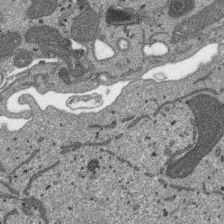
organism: Human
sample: Lung epithelial cells infected with SARS-CoV-2